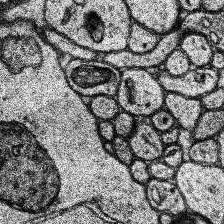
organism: Human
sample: Temporal Lobe